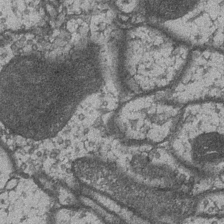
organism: Drosophila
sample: Optic medulla